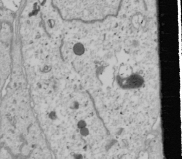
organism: Human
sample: Mitochondria in U2OS cells